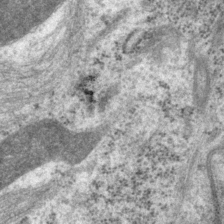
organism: P. pacificus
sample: Pharynx